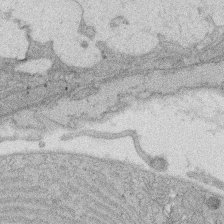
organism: Rat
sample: Salivary granule